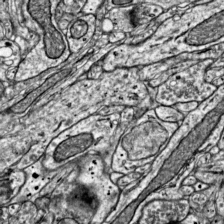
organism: Mouse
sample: Visual Cortex